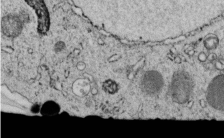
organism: C. elegans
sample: C. elegans embryo early stage